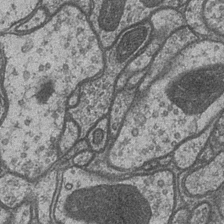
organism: Drosophila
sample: Optic medulla